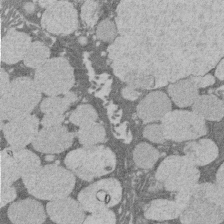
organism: Rat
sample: Salivary granule